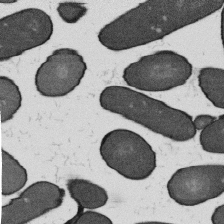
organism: B. subtilis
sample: Bacterial spore